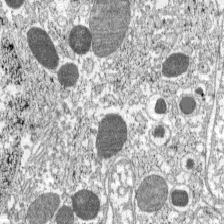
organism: C57BL Mouse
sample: Pancreatic islet